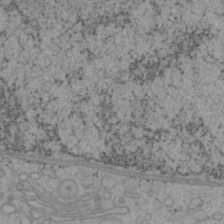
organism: Human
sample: HeLa cells